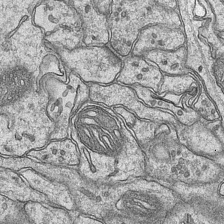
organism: Mouse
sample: CA1 Hippocampus